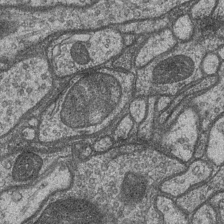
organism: Drosophila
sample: Optic medulla